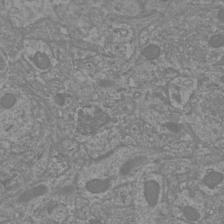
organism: Mouse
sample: Cortical neurons